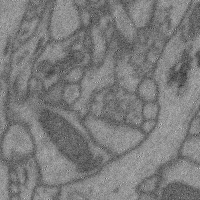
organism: Mouse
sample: Cerebral cortex